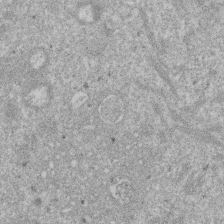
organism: Mouse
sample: Dividing mouse embryo 1 cell stage